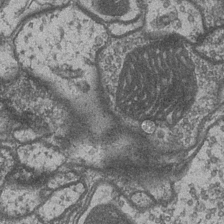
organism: Drosophila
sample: Optic medulla